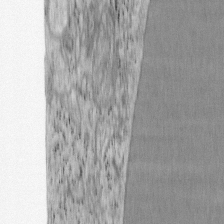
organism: Human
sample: HeLa cells